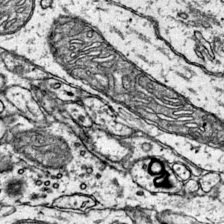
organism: Mouse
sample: Primary visual cortex